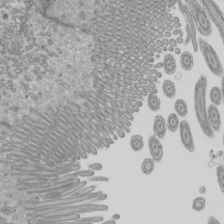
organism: Mouse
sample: Cilia; mouse epididymis